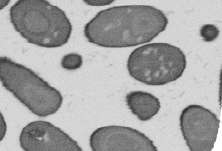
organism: B. subtilis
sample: Bacterial spore